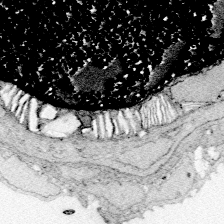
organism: Zebrafish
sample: Whole-Brain